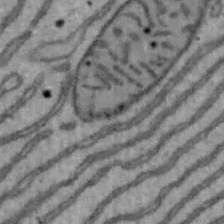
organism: Mouse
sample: Liver